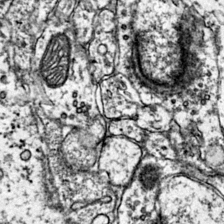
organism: Mouse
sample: Primary visual cortex